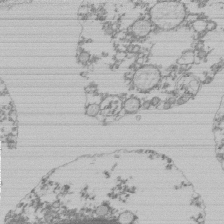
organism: Mouse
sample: Activated Pmel transgenic CD8+ T Cells